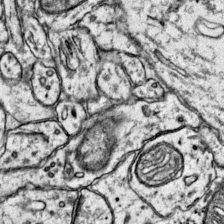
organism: Mouse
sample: Primary visual cortex